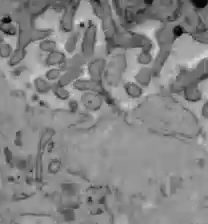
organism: C57BL Mouse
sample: Liver